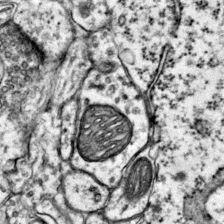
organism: Mouse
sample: Primary visual cortex